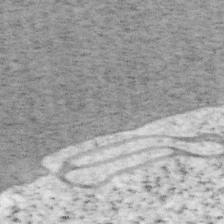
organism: Mouse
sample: OT-I killer T cells with ID8 ovarian cancer cells